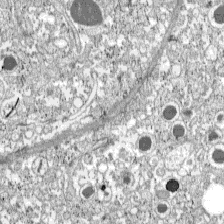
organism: C57BL Mouse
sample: Pancreatic islet